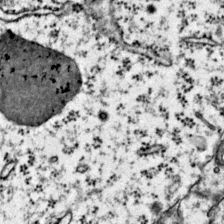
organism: Mouse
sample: Primary visual cortex